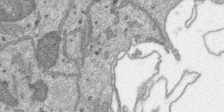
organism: Human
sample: Lung epithelial cells infected with SARS-CoV-2